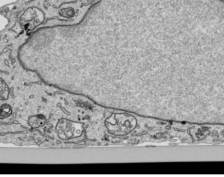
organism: Human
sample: Mitochondria in HCT116 cells